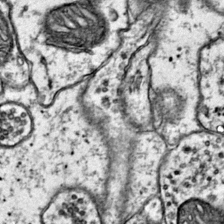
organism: Mouse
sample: Primary visual cortex